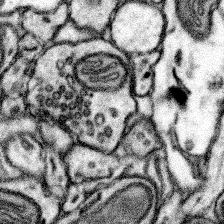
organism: Mouse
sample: Somatosensory cortex neuropil